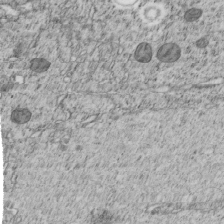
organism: C. elegans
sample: C. elegans embryo early stage